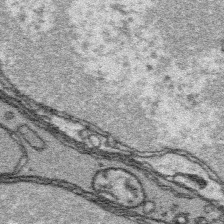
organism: Platynereis dumerilii